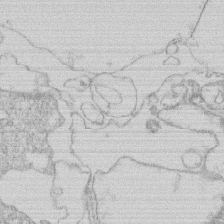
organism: Human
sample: Macrophage cells